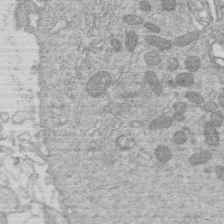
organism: Human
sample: Macrophage cells